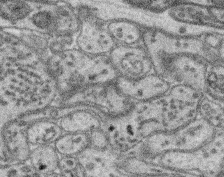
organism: Mouse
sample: Retina